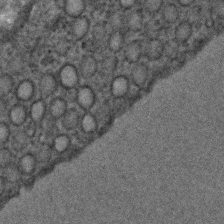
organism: C. elegans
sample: C. elegans embryo